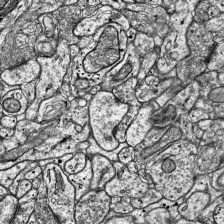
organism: Mouse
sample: Visual Cortex